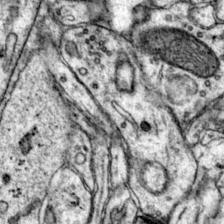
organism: Mouse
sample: Primary visual cortex